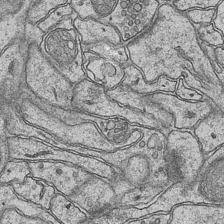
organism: Mouse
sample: CA1 Hippocampus